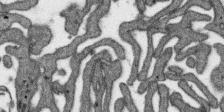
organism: Human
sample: Lung epithelial cells, uninfected (mock) control